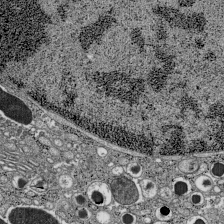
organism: C57BL Mouse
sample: Pancreatic islet